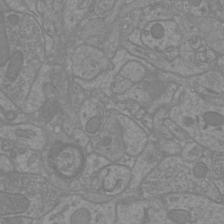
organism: Mouse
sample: Cortical neurons